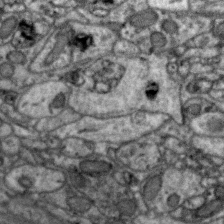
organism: Zebra finch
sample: Brain